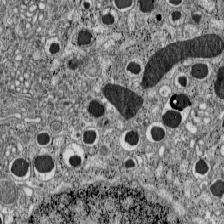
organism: C57BL Mouse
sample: Pancreatic islet